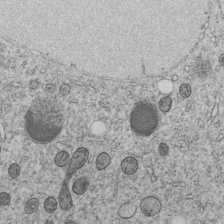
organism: C. elegans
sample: C. elegans embryo early stage